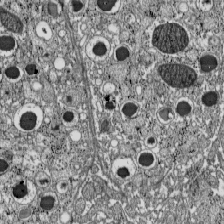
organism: C57BL Mouse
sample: Pancreatic islet